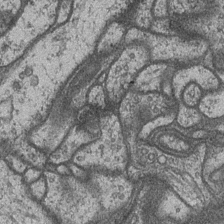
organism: Drosophila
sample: Optic medulla